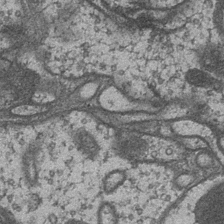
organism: Drosophila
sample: Optic medulla